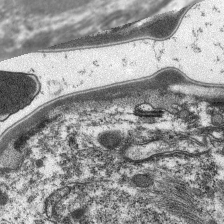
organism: C. elegans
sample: Pharynx